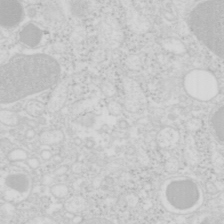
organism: Mouse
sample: Pancreas